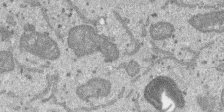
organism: Human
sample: Lung epithelial cells infected with SARS-CoV-2